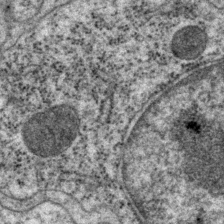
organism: P. pacificus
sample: Pharynx